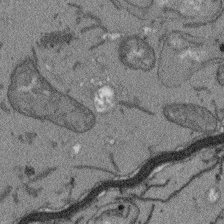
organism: Arabidopsis thaliana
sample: Root tip